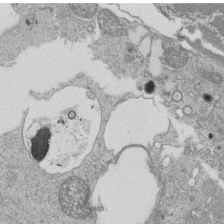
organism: Tetrahymena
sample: Cilia in tetrahymena